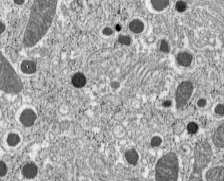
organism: C57BL Mouse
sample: Pancreatic islet